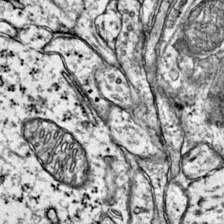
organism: Mouse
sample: Primary visual cortex